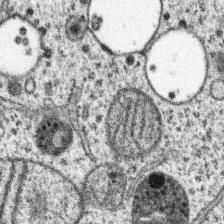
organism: Human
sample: HeLa cells